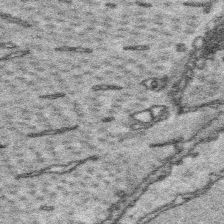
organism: Platynereis dumerilii